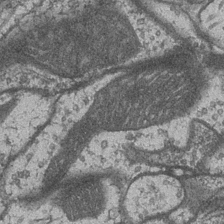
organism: Drosophila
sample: Optic medulla